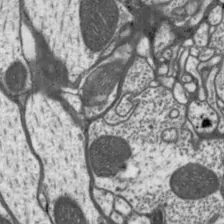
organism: Drosophila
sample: Protocerebral bridge